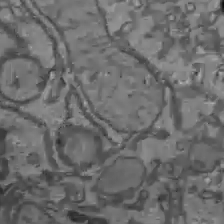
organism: C57BL Mouse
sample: Liver